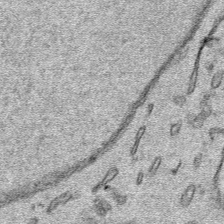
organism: Human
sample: Mitochondria in HCT116 cells